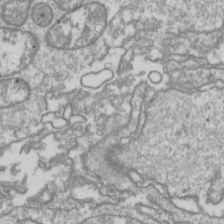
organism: Drosophila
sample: Cell division; meiosis; drosophila spermatocytes